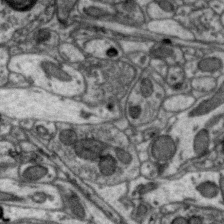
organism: Zebra finch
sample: Brain